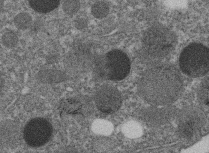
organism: C. elegans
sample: C. elegans embryo early stage